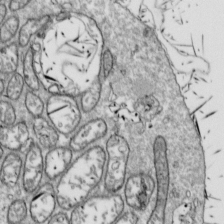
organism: Drosophila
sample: Cell division; meiosis; drosophila spermatocytes